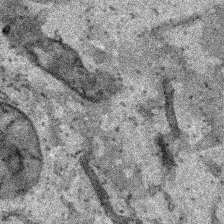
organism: Human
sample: Mitochondria in HCT116 cells